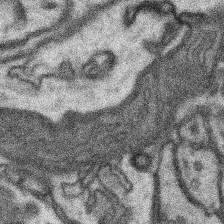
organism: Mouse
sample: Somatosensory cortex neuropil